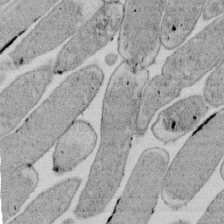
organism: E. coli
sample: Bacterial nucleoid